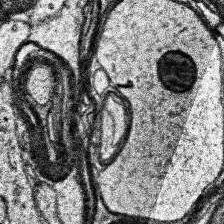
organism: Human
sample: Temporal Lobe